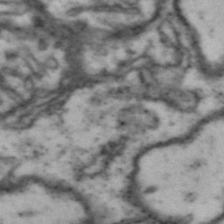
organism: Drosophila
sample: Brain